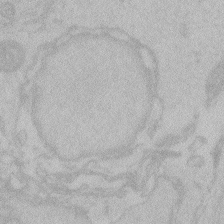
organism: Zebrafish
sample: Macrophage infected with Toxoplasma gondii